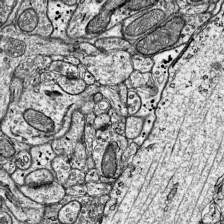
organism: Mouse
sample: Visual Cortex